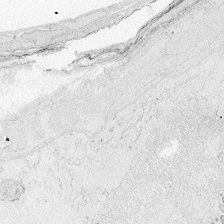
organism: Zebrafish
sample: Whole-Brain